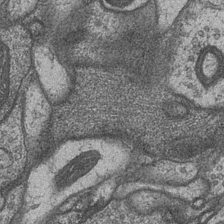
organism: Drosophila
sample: Optic medulla